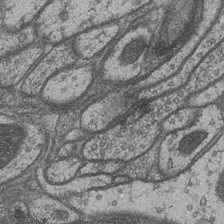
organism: Drosophila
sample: Optic medulla